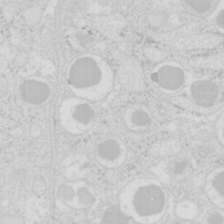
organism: Mouse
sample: Pancreas